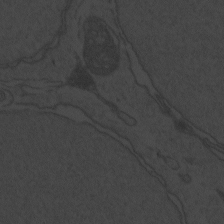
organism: Zebrafish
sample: Macrophage infected with Toxoplasma gondii